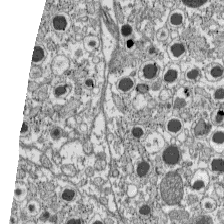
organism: C57BL Mouse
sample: Pancreatic islet